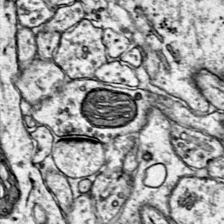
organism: Mouse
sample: Primary visual cortex